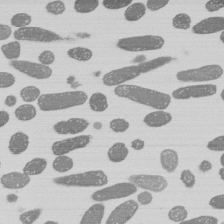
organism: E. coli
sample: Bacterial nucleoid